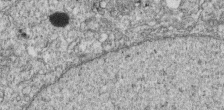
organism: Human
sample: HeLa cell HIV synapse